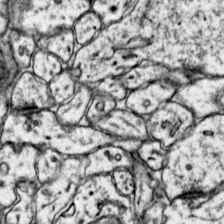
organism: Mouse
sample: Primary visual cortex